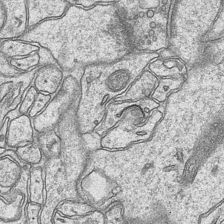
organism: Mouse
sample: CA1 Hippocampus